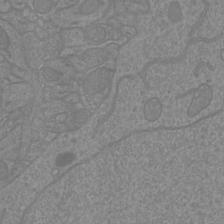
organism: Mouse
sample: Cortical neurons